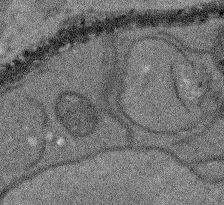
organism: Arabidopsis thaliana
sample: Root tip